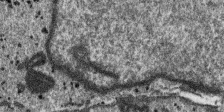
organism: Human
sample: Lung epithelial cells infected with SARS-CoV-2